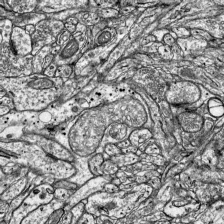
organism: Mouse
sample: Visual Cortex